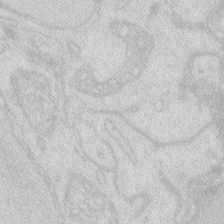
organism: Zebrafish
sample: Macrophage